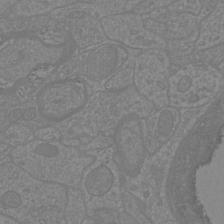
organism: Mouse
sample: Cortical neurons